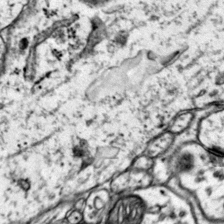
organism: Mouse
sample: Primary visual cortex